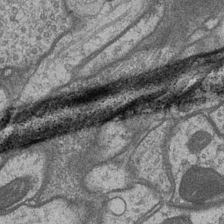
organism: Drosophila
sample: Optic medulla